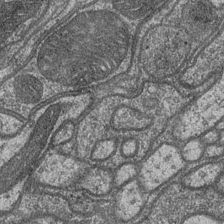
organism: Drosophila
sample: Optic medulla